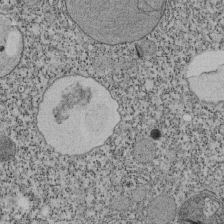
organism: Tetrahymena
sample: Cilia in tetrahymena